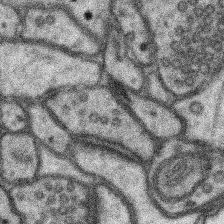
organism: Mouse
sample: Somatosensory cortex neuropil